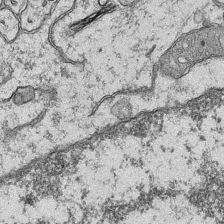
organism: Mouse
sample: CA1 Hippocampus